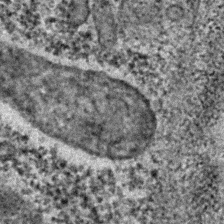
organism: C. elegans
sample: C. elegans embryo